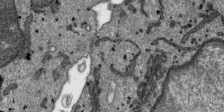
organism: Human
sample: Lung epithelial cells, uninfected (mock) control